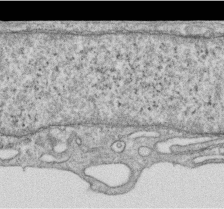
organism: Human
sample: Centriole in RPE cells